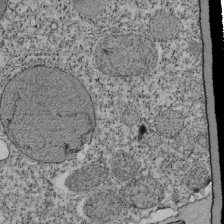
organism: Tetrahymena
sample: Cilia in tetrahymena